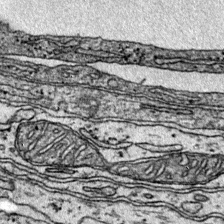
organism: Mouse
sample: Primary visual cortex